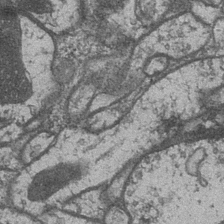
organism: Drosophila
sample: Optic medulla